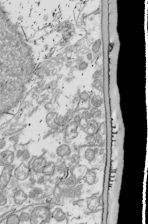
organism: Drosophila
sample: Cell division; meiosis; drosophila spermatocytes